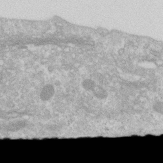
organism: Human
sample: Centriole in RPE cells